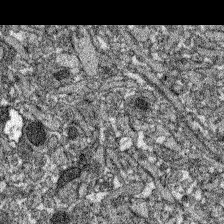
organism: Zebrafish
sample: Larval olfactory bulb